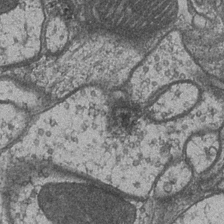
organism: Drosophila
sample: Optic medulla